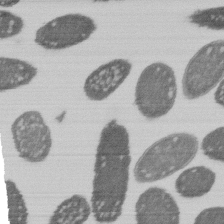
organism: E. coli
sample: Bacterial nucleoid